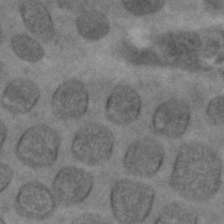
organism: C. elegans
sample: C. elegans embryo